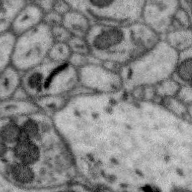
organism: Zebra finch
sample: Brain